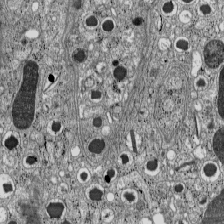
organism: C57BL Mouse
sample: Pancreatic islet